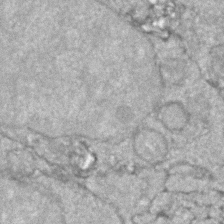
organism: Zebrafish